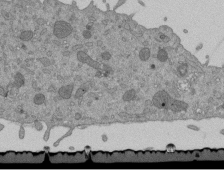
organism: Mouse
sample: ED-1 cell nuclei; centrioles